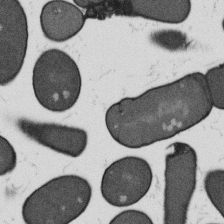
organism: B. subtilis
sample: Bacterial spore